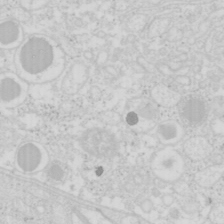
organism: Mouse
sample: Pancreas